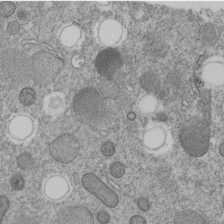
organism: C. elegans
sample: C. elegans embryo early stage